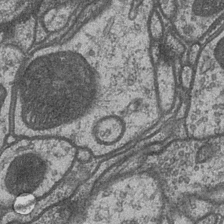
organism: Drosophila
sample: Optic medulla